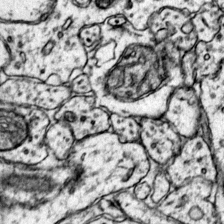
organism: Mouse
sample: Primary visual cortex